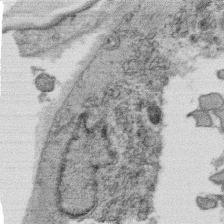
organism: C. elegans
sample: C. elegans oocyte; sperm cells